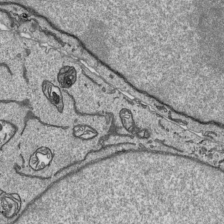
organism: Human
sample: Mitochondria in HCT116 cells